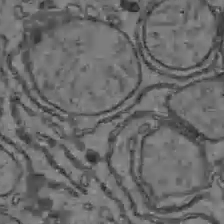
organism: C57BL Mouse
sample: Liver